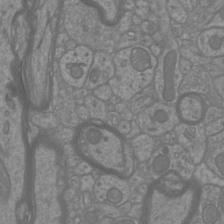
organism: Mouse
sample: Cortical neurons